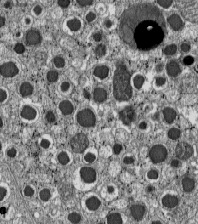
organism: C57BL Mouse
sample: Pancreatic islet